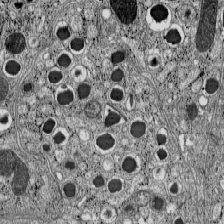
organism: C57BL Mouse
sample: Pancreatic islet